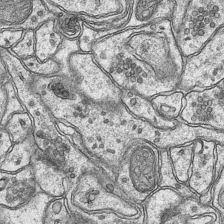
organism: Mouse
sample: CA1 Hippocampus